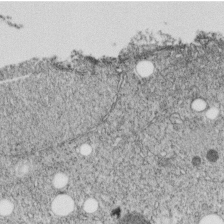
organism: C. elegans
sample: C. elegans embryo early stage